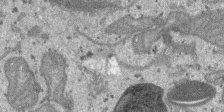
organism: Human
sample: Lung epithelial cells infected with SARS-CoV-2